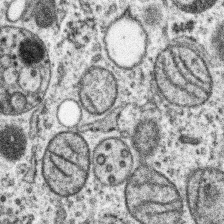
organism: Human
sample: HeLa cells